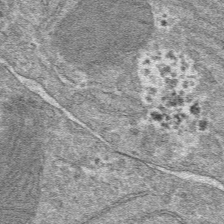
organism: Mouse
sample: Mouse hepatocytes